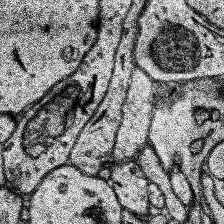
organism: Human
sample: Temporal Lobe